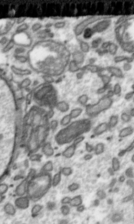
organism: Toxoplasma gondii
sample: Parasites in a vacuole inside a host cell